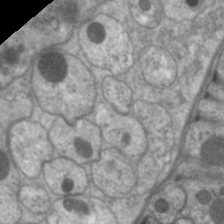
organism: C. elegans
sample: Pharynx